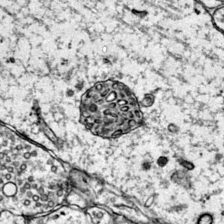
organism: Mouse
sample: Primary visual cortex